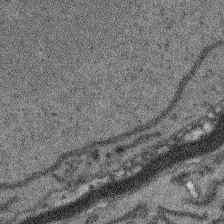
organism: Arabidopsis thaliana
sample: Root tip